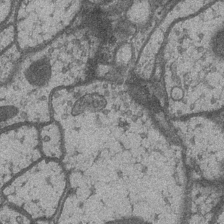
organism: Drosophila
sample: Optic medulla